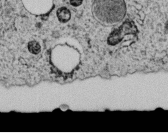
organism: C. elegans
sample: C. elegans embryo early stage